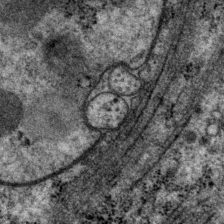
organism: P. pacificus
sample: Pharynx